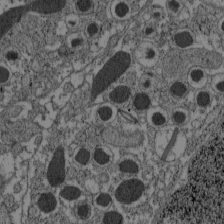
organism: C57BL Mouse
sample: Pancreatic islet